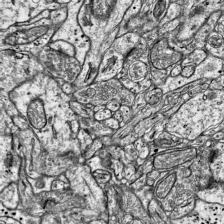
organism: Mouse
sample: Visual Cortex